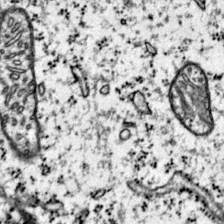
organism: Mouse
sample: Primary visual cortex